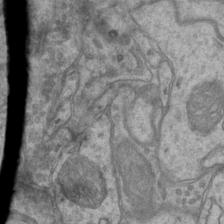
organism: Mouse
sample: CA1 Hippocampus